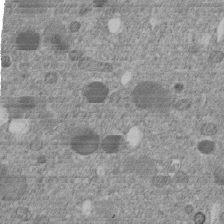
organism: C. elegans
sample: C. elegans embryo early stage